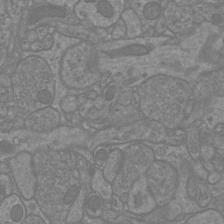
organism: Mouse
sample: Cortical neurons